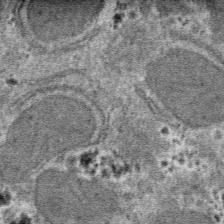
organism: Mouse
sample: Mouse hepatocytes